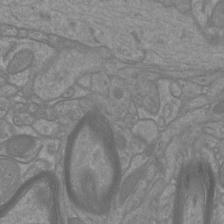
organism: Mouse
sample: Cortical neurons